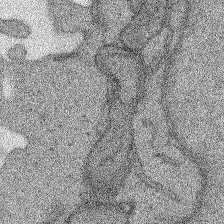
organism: Human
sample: HeLa cells